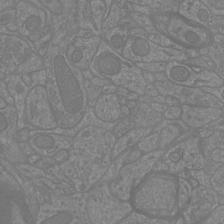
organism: Mouse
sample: Cortical neurons